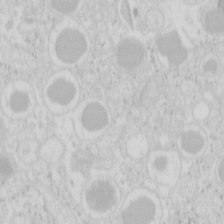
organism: Mouse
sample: Pancreas